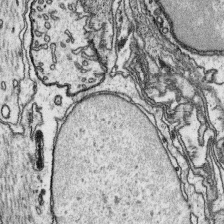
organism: Platynereis dumerilii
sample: Parapodia